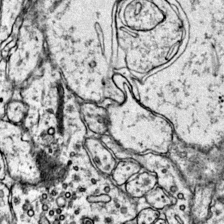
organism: Mouse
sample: Primary visual cortex